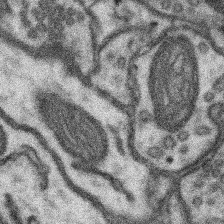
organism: Mouse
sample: Somatosensory cortex neuropil